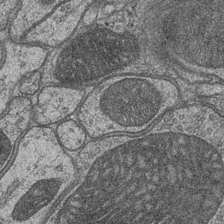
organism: Drosophila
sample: Optic medulla